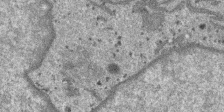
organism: Human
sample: Lung epithelial cells infected with SARS-CoV-2